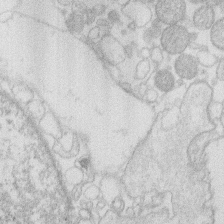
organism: Human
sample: Macrophage cells